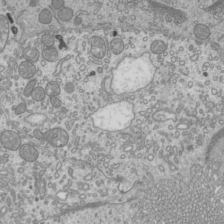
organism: Mouse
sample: Cilia; mouse epididymis